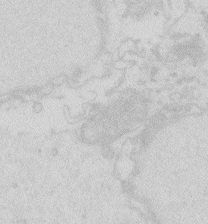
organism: Zebrafish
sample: Macrophage